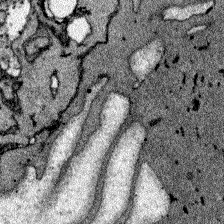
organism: Zebrafish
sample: Larval olfactory bulb